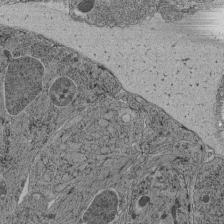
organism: C. elegans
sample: C. elegans pharynx